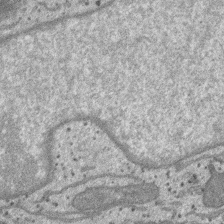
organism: Human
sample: Lung epithelial cells infected with SARS-CoV-2